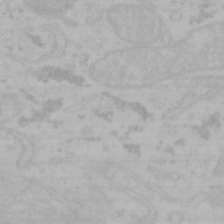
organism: Mouse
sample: Choroid plexus